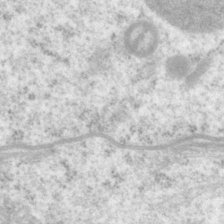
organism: P. pacificus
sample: Pharynx